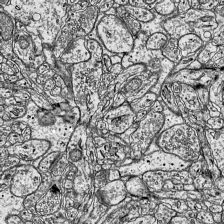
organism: Mouse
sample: Visual Cortex